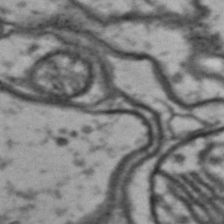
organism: Drosophila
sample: Brain